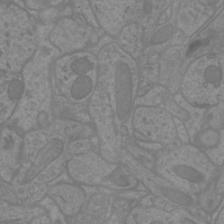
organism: Mouse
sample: Cortical neurons